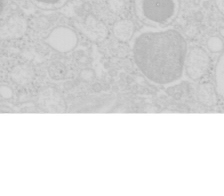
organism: Mouse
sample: Pancreas